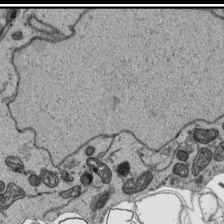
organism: Human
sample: Mitochondria in HCT116 cells